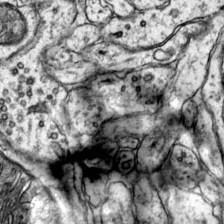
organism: Mouse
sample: Primary visual cortex